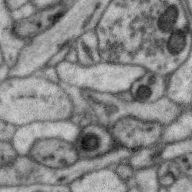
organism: Zebra finch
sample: Brain